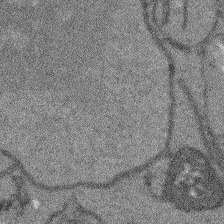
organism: Arabidopsis thaliana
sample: Root tip